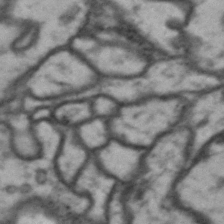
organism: Drosophila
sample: Brain